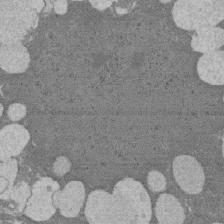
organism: Rat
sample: Salivary granule